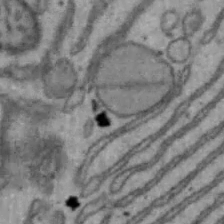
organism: Mouse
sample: Liver